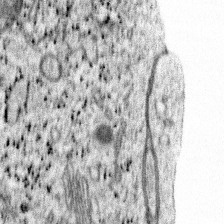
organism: Human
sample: HeLa cells